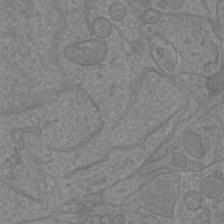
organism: Mouse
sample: Cortical neurons